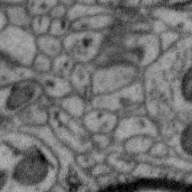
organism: Zebra finch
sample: Brain